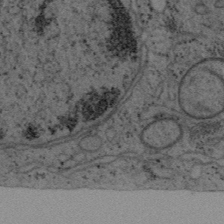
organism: Human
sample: HeLa cells